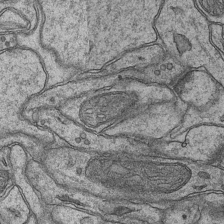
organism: Mouse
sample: CA1 Hippocampus